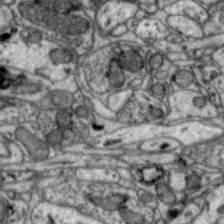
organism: Zebra finch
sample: Brain